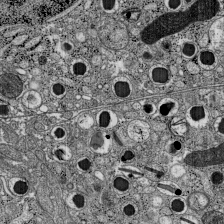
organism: C57BL Mouse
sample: Pancreatic islet